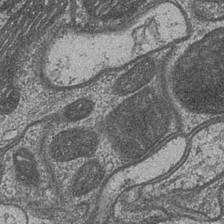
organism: Drosophila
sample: Optic medulla